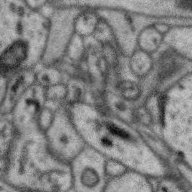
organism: Zebra finch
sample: Brain